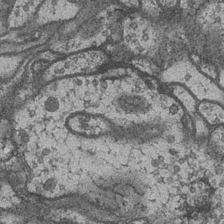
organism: Drosophila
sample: Optic medulla